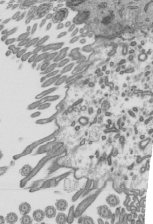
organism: Mouse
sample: Mouse epididymis efferent ductule cilia